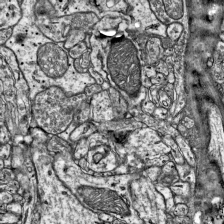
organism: Mouse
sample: Visual Cortex